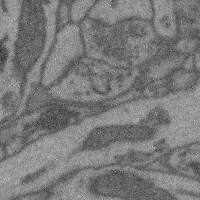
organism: Mouse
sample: Cerebral cortex